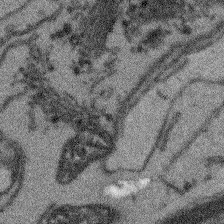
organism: Arabidopsis thaliana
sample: Root tip